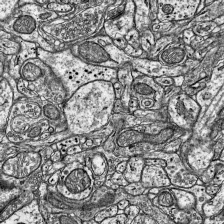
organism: Mouse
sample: Visual Cortex